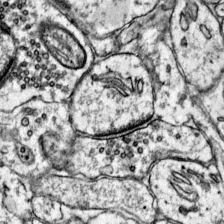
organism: Mouse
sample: Primary visual cortex